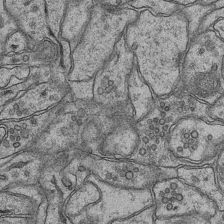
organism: Mouse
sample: CA1 Hippocampus